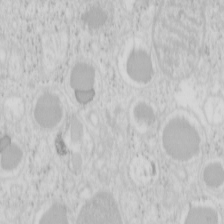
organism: Mouse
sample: Pancreas